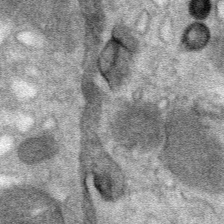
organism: Mouse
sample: Mouse Salivary gland